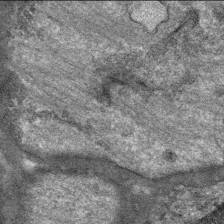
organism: Mouse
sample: Mouse Salivary gland